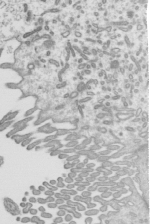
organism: Mouse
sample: Mouse epididymis efferent ductule cilia